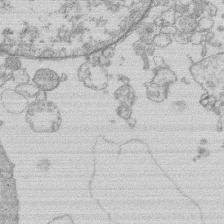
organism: Human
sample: Macrophage cells